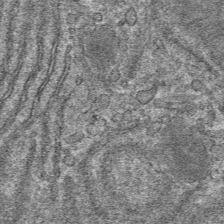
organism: Mouse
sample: Mouse hepatocytes